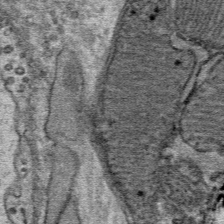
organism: Mouse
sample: Mouse Salivary gland